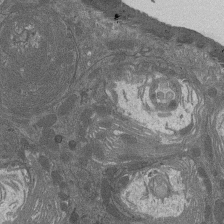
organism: Drosophila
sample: Antenna